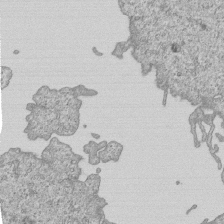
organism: Human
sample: MDA-MB-231 cells